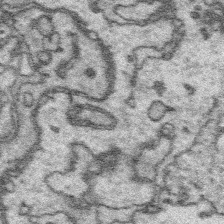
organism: Platynereis dumerilii